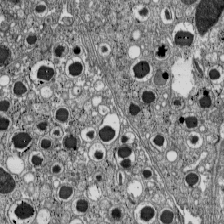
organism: C57BL Mouse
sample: Pancreatic islet